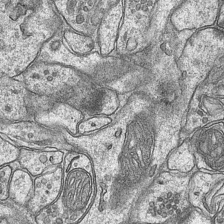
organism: Mouse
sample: CA1 Hippocampus